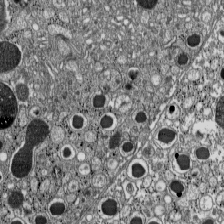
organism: C57BL Mouse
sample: Pancreatic islet